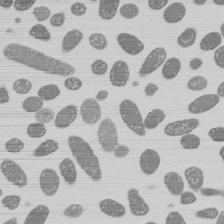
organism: E. coli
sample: Bacterial nucleoid